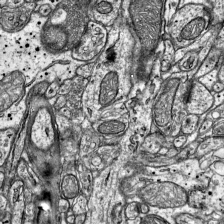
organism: Mouse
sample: Visual Cortex